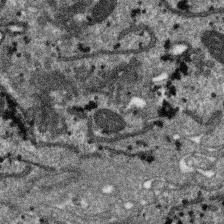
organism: Human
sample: Lung epithelial cells infected with SARS-CoV-2